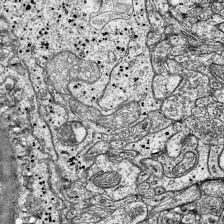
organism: Mouse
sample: Visual Cortex